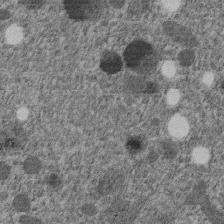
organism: C. elegans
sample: C. elegans embryo early stage